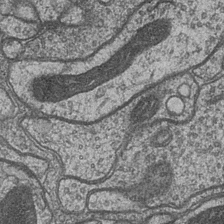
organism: Drosophila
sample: Optic medulla